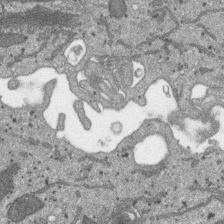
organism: Human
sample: Lung epithelial cells infected with SARS-CoV-2